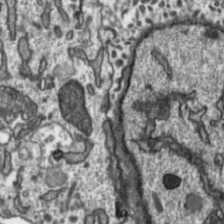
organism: Toxoplasma gondii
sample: Parasites in a vacuole inside a host cell